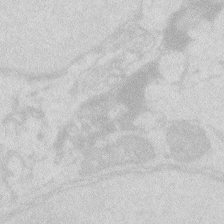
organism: Zebrafish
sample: Macrophage